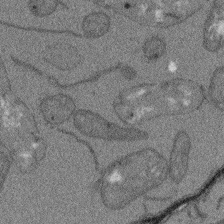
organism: Arabidopsis thaliana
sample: Root tip